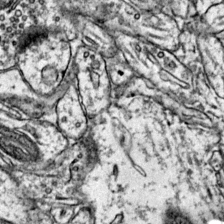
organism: Mouse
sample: Primary visual cortex